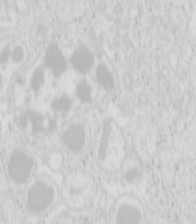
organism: Mouse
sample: Pancreas